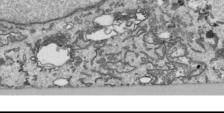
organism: Human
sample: Mitochondria in HCT116 cells